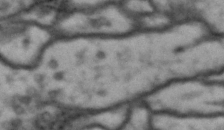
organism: Drosophila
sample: Brain